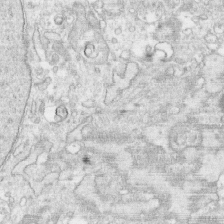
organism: Human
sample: CRL-1474